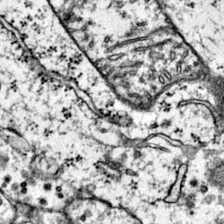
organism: Mouse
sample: Primary visual cortex